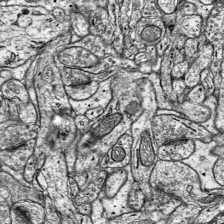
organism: Mouse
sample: Visual Cortex